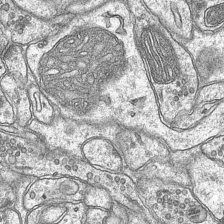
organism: Mouse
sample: CA1 Hippocampus